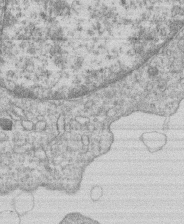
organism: Human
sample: Macrophage cells